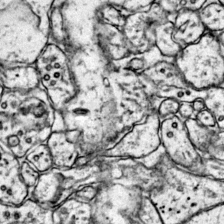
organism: Mouse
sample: Primary visual cortex